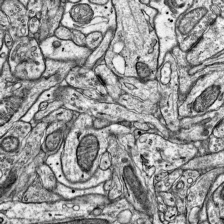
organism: Mouse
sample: Visual Cortex